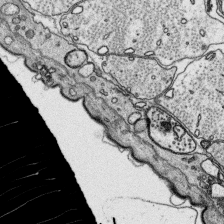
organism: Platynereis dumerilii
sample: Parapodia